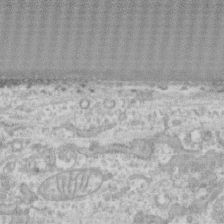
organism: Human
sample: CRL-1474